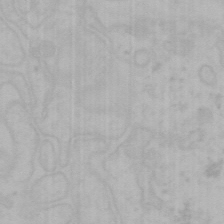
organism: Mouse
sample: Choroid plexus